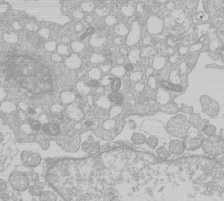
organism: Human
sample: Macrophage cells